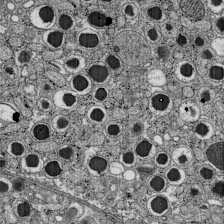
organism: C57BL Mouse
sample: Pancreatic islet